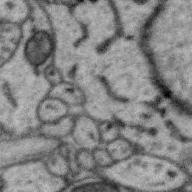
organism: Zebra finch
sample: Brain